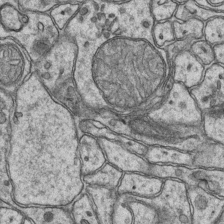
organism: Mouse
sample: CA1 Hippocampus